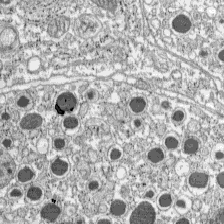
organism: C57BL Mouse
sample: Pancreatic islet